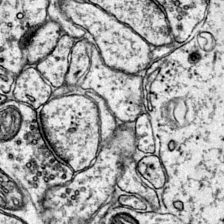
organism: Mouse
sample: Primary visual cortex